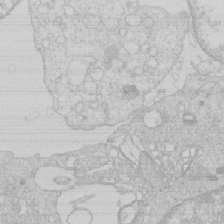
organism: Human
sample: Macrophage cells